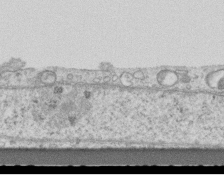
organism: Mouse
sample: Centriole in ependymal cells